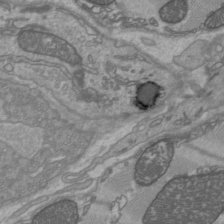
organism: C57BL Mouse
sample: Heart